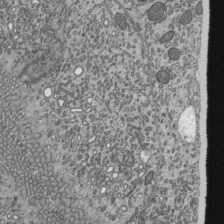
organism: Mouse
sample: Mouse epididymis efferent ductule cilia